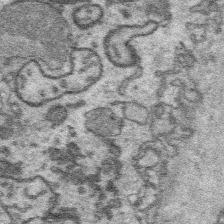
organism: Platynereis dumerilii